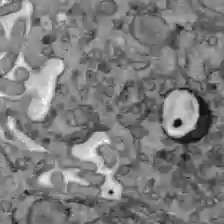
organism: C57BL Mouse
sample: Liver